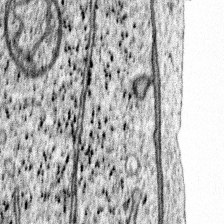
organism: Human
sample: HeLa cells